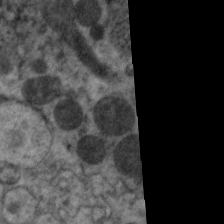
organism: C. elegans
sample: Pharynx